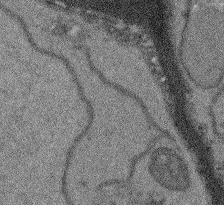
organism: Arabidopsis thaliana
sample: Root tip